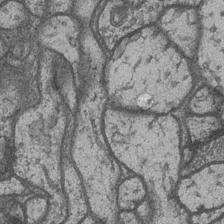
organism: Drosophila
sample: Optic medulla